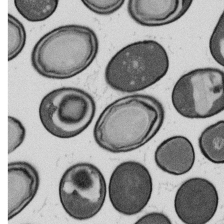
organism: B. subtilis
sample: Bacterial spore